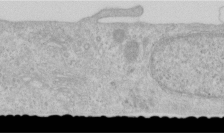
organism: Human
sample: Centriole in RPE cells